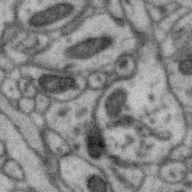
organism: Zebra finch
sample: Brain